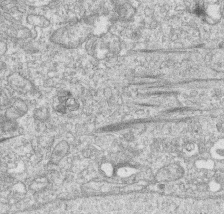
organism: Human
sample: HeLa cell HIV synapse